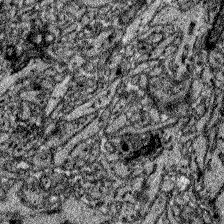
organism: Zebrafish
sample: Larval olfactory bulb